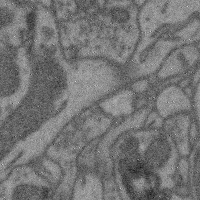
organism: Mouse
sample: Cerebral cortex